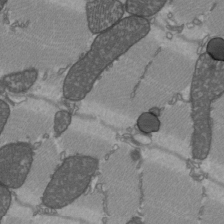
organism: C57BL Mouse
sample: Heart